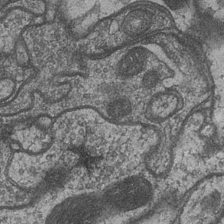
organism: Drosophila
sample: Optic medulla